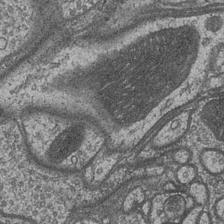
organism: Drosophila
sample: Optic medulla